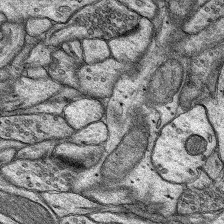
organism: Rat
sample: Hippocampus